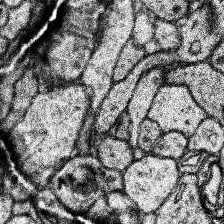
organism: Human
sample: Temporal Lobe